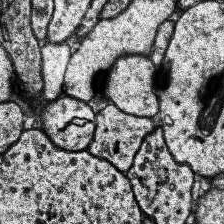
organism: Human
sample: Temporal Lobe